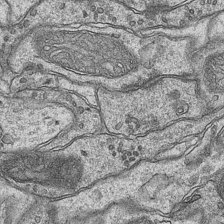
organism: Mouse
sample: CA1 Hippocampus